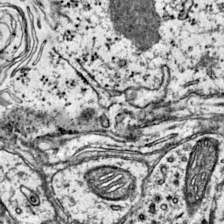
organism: Mouse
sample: Primary visual cortex